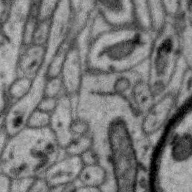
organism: Zebra finch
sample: Brain